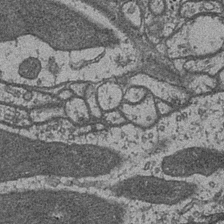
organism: Drosophila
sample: Optic medulla